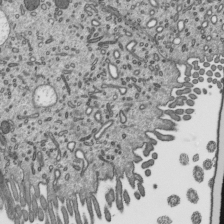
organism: Mouse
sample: Mouse epididymis efferent ductule cilia